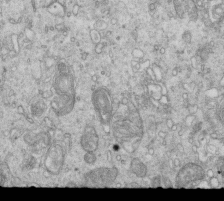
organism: Mouse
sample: Multiciliated cells